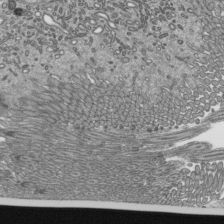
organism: Mouse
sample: Mouse epididymis efferent ductule cilia